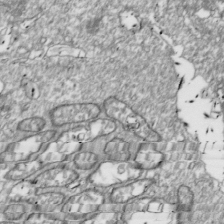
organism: Drosophila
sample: Cell division; meiosis; drosophila spermatocytes